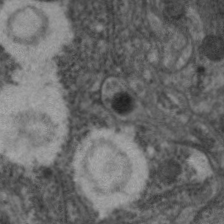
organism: C. elegans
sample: Pharynx